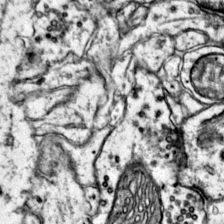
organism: Mouse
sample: Primary visual cortex